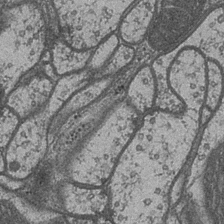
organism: Drosophila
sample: Optic medulla